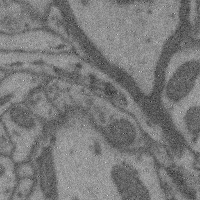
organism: Mouse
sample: Cerebral cortex